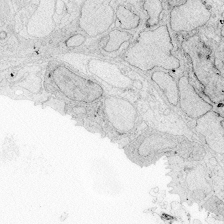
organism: Zebrafish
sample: Whole-Brain